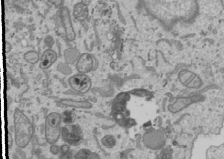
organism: Human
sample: Mitochondria in U2OS cells